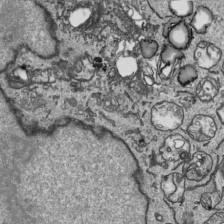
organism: Human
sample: Mitochondria in HCT116 cells